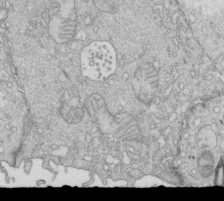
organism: Mouse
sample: Multiciliated cells